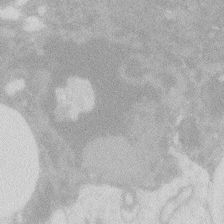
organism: Zebrafish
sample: Macrophage